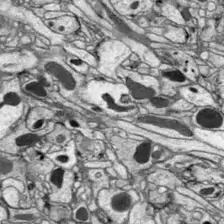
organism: Drosophila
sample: Optic lobe